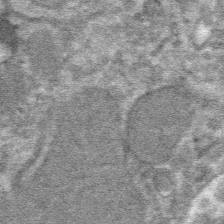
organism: Mouse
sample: Mouse hepatocytes